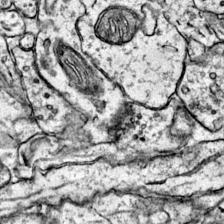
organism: Mouse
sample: Primary visual cortex